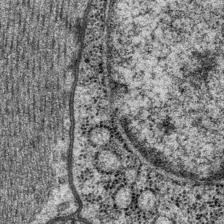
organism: P. pacificus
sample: Pharynx